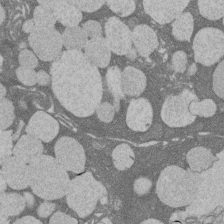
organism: Rat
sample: Salivary granule